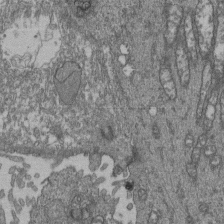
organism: Human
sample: Retinal organoid Rod and Cone cells